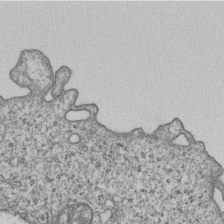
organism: Human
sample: MDA-MB-231 cells